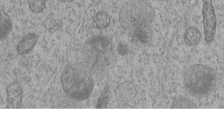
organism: C. elegans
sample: C. elegans embryo early stage